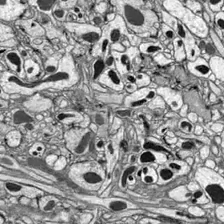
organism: Drosophila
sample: Optic lobe